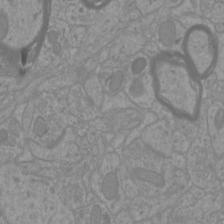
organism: Mouse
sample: Cortical neurons